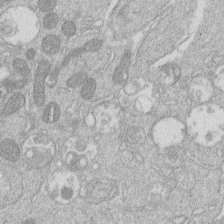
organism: Human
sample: Macrophage cells